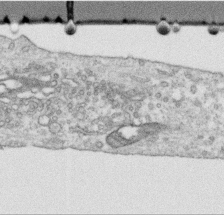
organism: Human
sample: Centriole in RPE cells